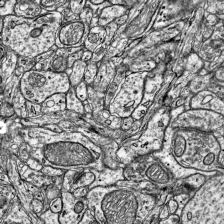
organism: Mouse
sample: Visual Cortex